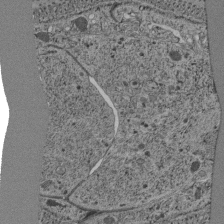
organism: C. elegans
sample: C. elegans pharynx